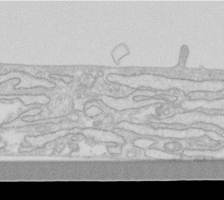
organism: Human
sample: Fibroblast cells